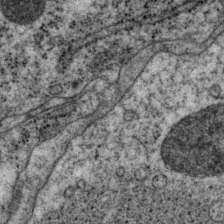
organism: P. pacificus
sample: Pharynx